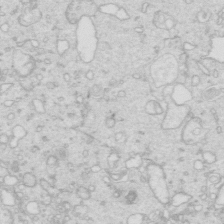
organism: Mouse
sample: Multiciliated cells